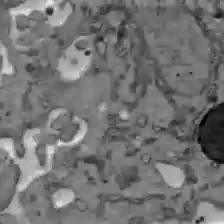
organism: C57BL Mouse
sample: Liver